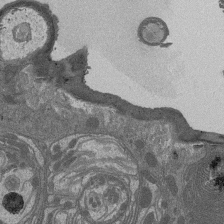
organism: Drosophila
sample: Antenna